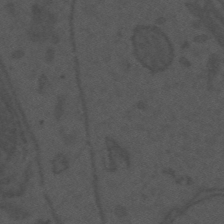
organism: Mouse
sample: Suprachiasmatic nucleus